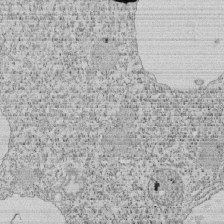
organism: Tetrahymena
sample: Cilia in tetrahymena